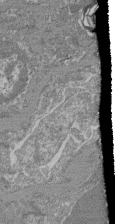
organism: Mouse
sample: Glomerulus